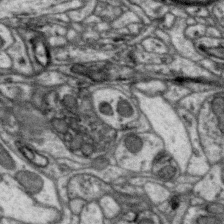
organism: Zebra finch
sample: Brain